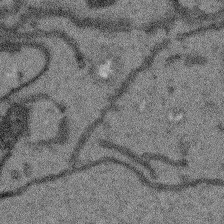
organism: Arabidopsis thaliana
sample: Root tip